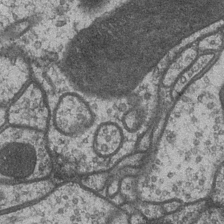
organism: Drosophila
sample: Optic medulla